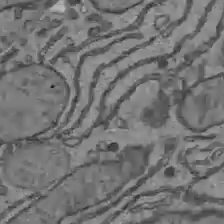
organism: C57BL Mouse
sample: Liver